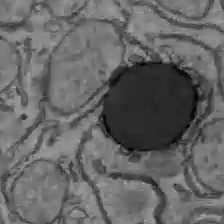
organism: C57BL Mouse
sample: Liver